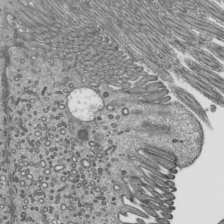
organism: Mouse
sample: Mouse epididymis efferent ductule cilia